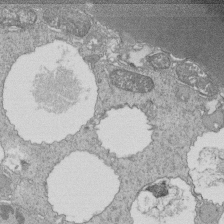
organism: Tetrahymena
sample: Cilia in tetrahymena